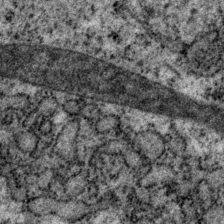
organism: P. pacificus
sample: Pharynx